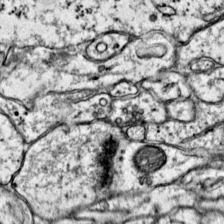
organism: Mouse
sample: Primary visual cortex